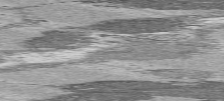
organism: C57BL Mouse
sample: Heart